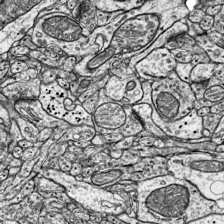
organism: Mouse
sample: Visual Cortex